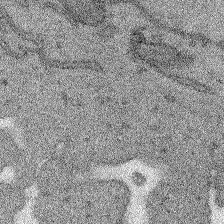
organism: Human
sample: HeLa cells